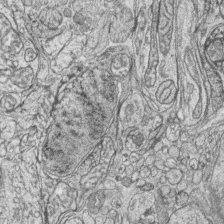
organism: Zebrafish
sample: synaptic ribbons in rod cells and cone cells